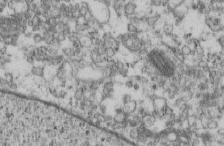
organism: Mouse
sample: Cilia; retinal pigment epithelium